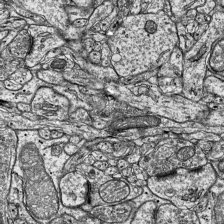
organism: Mouse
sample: Visual Cortex